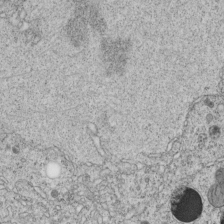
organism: C. elegans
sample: C. elegans embryo early stage